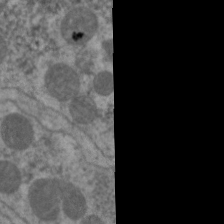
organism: C. elegans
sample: Pharynx